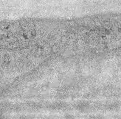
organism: Mouse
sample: Corneal nerves